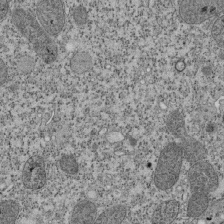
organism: Tetrahymena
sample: Cilia in tetrahymena